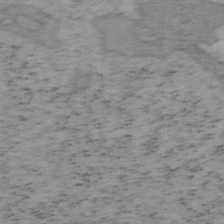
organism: Mouse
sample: OT-I killer T cells with ID8 ovarian cancer cells